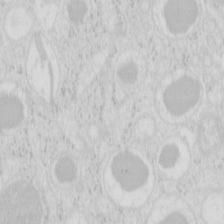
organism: Mouse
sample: Pancreas